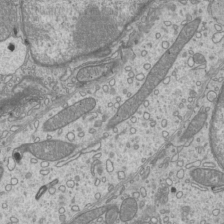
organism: Mouse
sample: Cilia; mouse epididymis